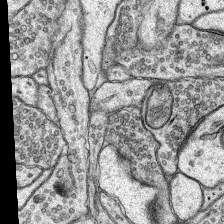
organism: Rat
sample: Hippocampus